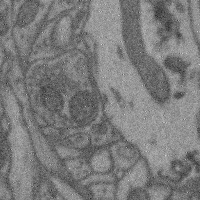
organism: Mouse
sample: Cerebral cortex